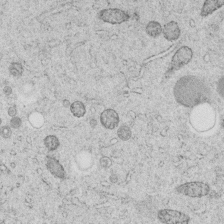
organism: C. elegans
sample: C. elegans embryo early stage